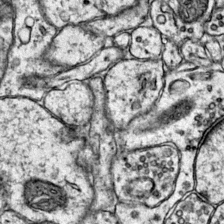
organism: Mouse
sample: Primary visual cortex